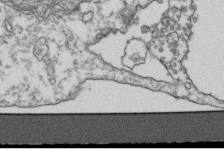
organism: Human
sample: Activated Jurkat CD4+ T cells